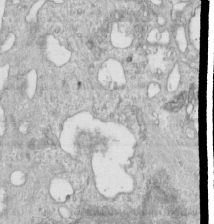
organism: Human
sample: Centriole in RPE cells